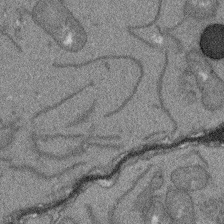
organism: Arabidopsis thaliana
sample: Root tip